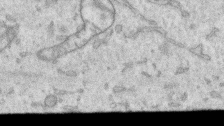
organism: Human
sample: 1205lu cells